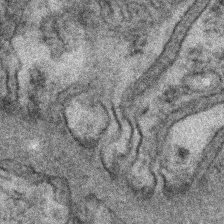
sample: Kidney